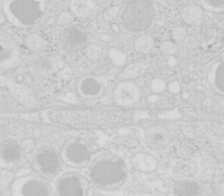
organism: Mouse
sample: Pancreas